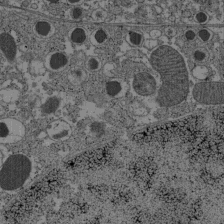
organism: C57BL Mouse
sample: Pancreatic islet